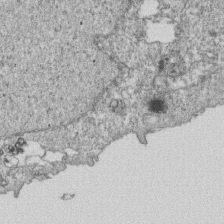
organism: Human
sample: HeLa cell HIV synapse